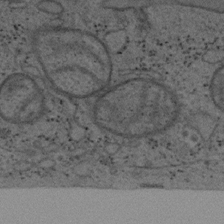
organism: Human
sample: HeLa cells